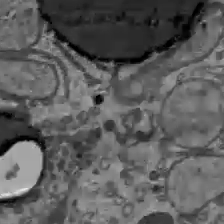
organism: C57BL Mouse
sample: Liver